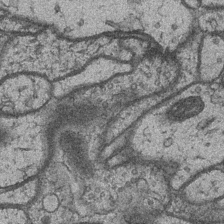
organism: Drosophila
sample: Optic medulla